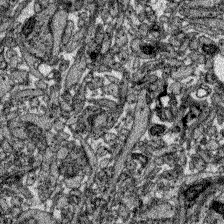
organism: Zebrafish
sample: Larval olfactory bulb